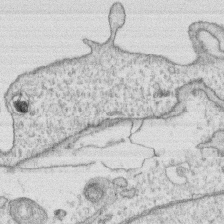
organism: Human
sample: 1205lu cells